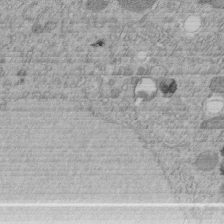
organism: C. elegans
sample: C. elegans embryo early stage